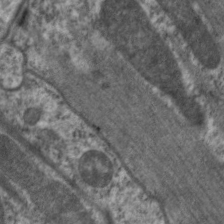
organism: C. elegans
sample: Pharynx